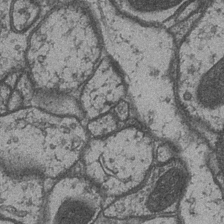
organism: Drosophila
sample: Optic medulla